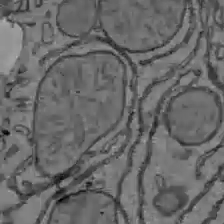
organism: C57BL Mouse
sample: Liver